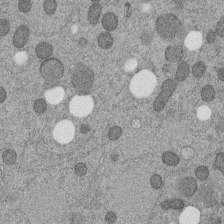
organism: C. elegans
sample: C. elegans embryo early stage